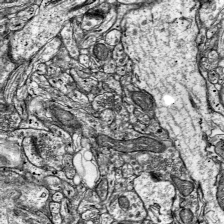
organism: Mouse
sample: Visual Cortex